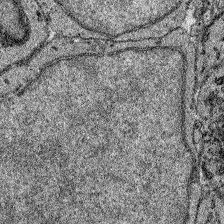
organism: Zebrafish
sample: Larval olfactory bulb